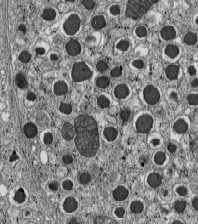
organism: C57BL Mouse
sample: Pancreatic islet